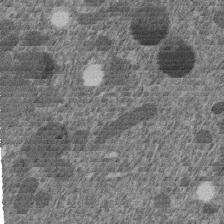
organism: C. elegans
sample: C. elegans embryo early stage